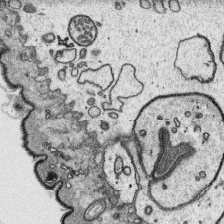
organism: Platynereis dumerilii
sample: Parapodia